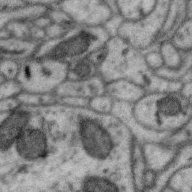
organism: Zebra finch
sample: Brain